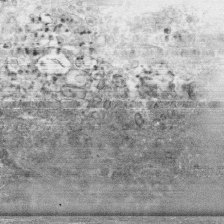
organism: Human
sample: CRL-1474